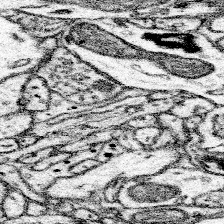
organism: Mouse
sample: Somatosensory cortex neuropil